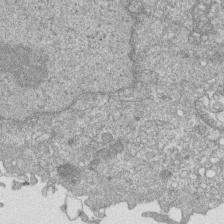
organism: Human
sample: HeLa cell HIV synapse